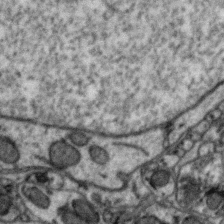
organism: Zebra finch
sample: Brain